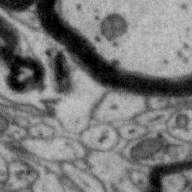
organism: Zebra finch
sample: Brain